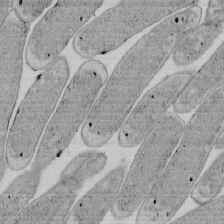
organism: E. coli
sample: Bacterial nucleoid